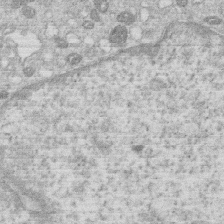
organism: Human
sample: Macrophage cells